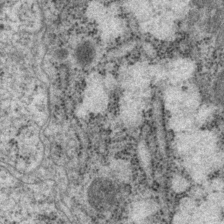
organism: P. pacificus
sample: Pharynx